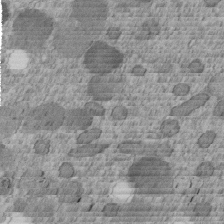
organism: C. elegans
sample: C. elegans embryo early stage